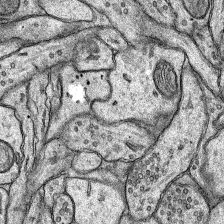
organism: Rat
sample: Hippocampus